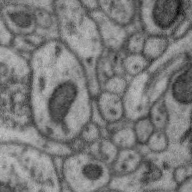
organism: Zebra finch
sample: Brain